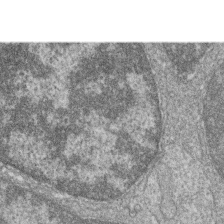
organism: Zebrafish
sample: Cilia; retinal pigment epithelium